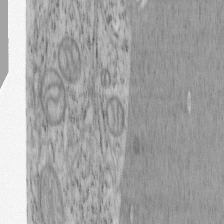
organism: Human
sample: HeLa cells